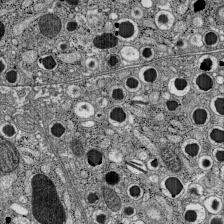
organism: C57BL Mouse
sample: Pancreatic islet